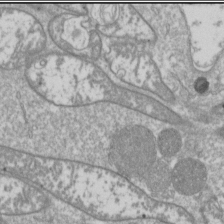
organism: Drosophila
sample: Cell division; meiosis; drosophila spermatocytes